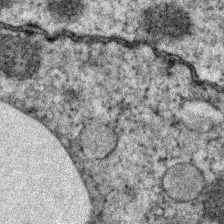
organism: Zebrafish